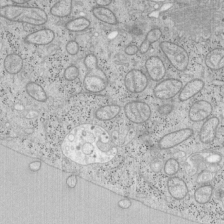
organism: Mouse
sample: OT-I killer T cells with ID8 ovarian cancer cells